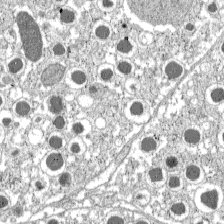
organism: C57BL Mouse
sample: Pancreatic islet